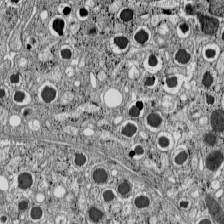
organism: C57BL Mouse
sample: Pancreatic islet